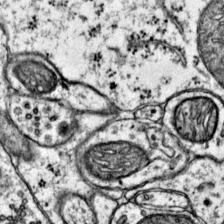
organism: Mouse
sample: Primary visual cortex